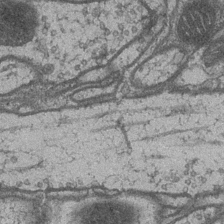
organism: Drosophila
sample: Optic medulla